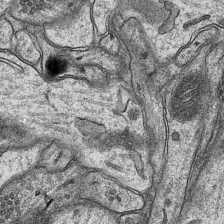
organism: Mouse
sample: CA1 Hippocampus